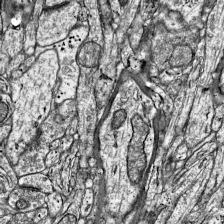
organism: Mouse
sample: Visual Cortex